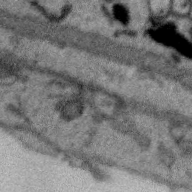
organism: Zebra finch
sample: Brain